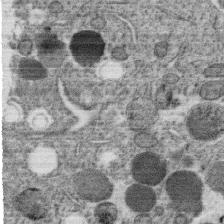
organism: C. elegans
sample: C. elegans oocyte; sperm cells